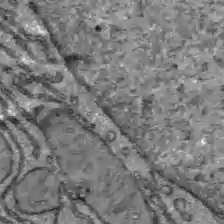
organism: C57BL Mouse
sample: Liver